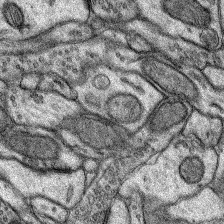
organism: Rat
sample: Hippocampus